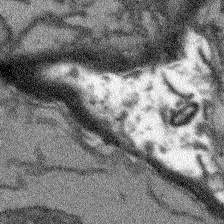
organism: Arabidopsis thaliana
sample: Root tip